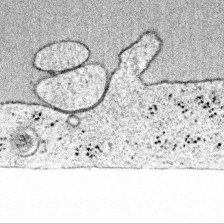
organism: Human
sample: HeLa cells